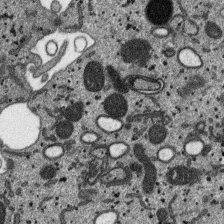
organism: Human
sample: Lung epithelial cells infected with SARS-CoV-2